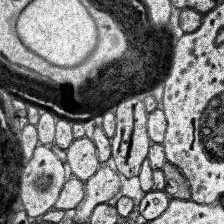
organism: Human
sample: Temporal Lobe